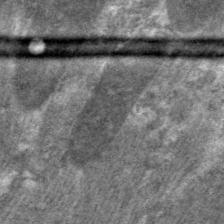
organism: C. elegans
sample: Pharynx